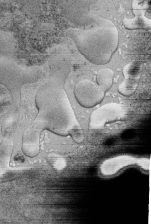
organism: Human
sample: Retinal organoid Rod and Cone cells